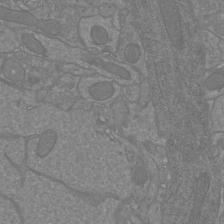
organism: Mouse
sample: Cortical neurons